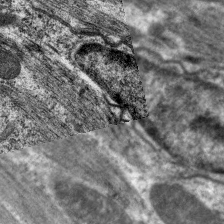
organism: C. elegans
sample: Pharynx